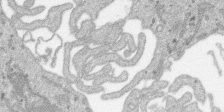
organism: Human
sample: Lung epithelial cells infected with SARS-CoV-2